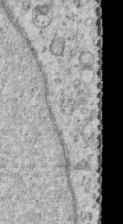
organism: Human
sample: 1205lu cells